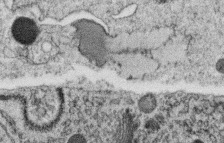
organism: C. elegans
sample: C. elegans oocyte; sperm cells